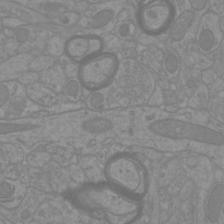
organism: Mouse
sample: Cortical neurons